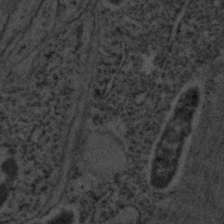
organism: C. elegans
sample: C. elegans embryo